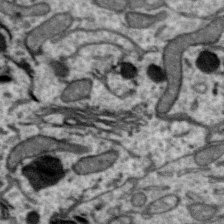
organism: Zebra finch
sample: Brain